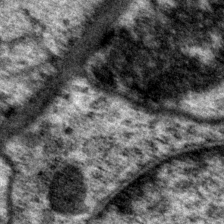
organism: P. pacificus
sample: Pharynx